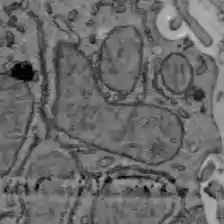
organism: C57BL Mouse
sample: Liver